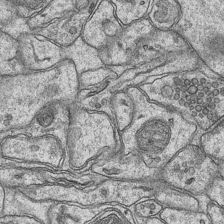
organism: Mouse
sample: CA1 Hippocampus